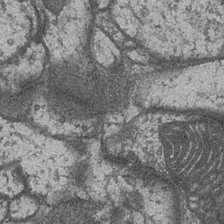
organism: Drosophila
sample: Optic medulla